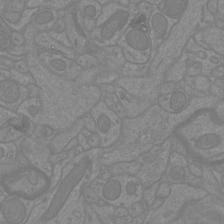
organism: Mouse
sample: Cortical neurons